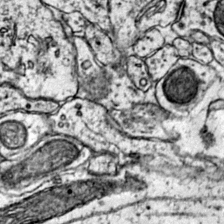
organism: Mouse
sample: Primary visual cortex